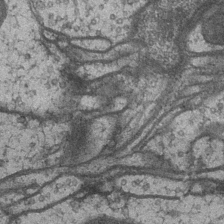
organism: Drosophila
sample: Optic medulla